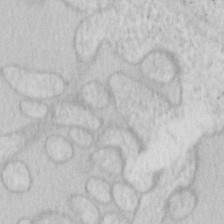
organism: Human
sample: HeLa cells